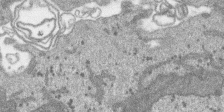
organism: Human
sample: Lung epithelial cells infected with SARS-CoV-2